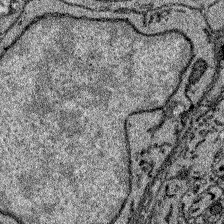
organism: Zebrafish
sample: Larval olfactory bulb